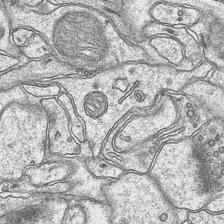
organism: Mouse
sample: CA1 Hippocampus